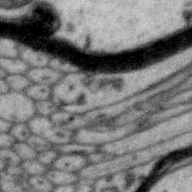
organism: Zebra finch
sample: Brain